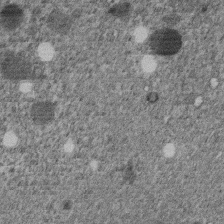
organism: C. elegans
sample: C. elegans embryo early stage